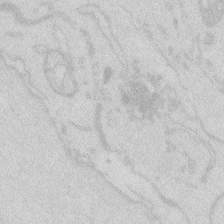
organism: Zebrafish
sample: Macrophage